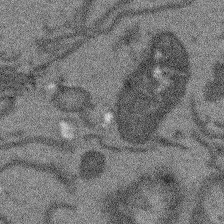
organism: Arabidopsis thaliana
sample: Root tip